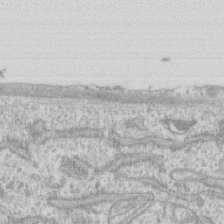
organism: Human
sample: CRL-1474